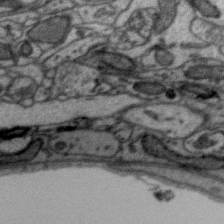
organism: Zebra finch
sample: Brain